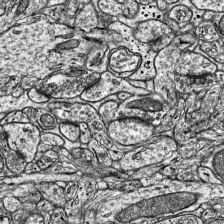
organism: Mouse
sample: Visual Cortex